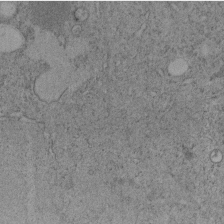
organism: C. elegans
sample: C. elegans embryo early stage